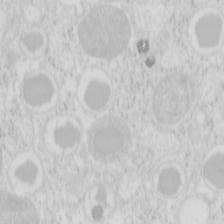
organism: Mouse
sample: Pancreas